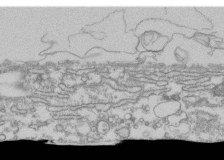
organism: Human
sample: Fibroblast cells